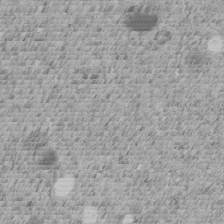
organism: C. elegans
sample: C. elegans embryo early stage